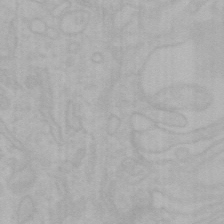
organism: Mouse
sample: Choroid plexus